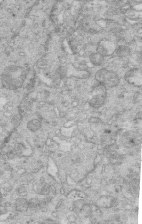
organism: Mouse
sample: Multiciliated cells